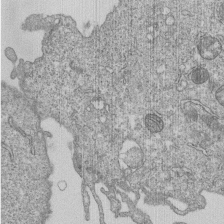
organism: Human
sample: MDA-MB-231 cells